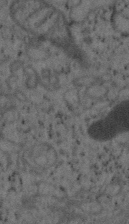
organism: Human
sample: HeLa cells